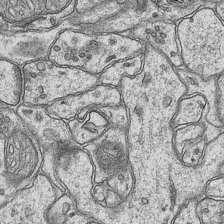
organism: Mouse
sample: CA1 Hippocampus